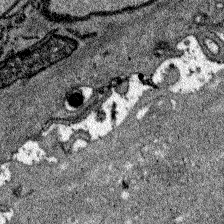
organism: Zebrafish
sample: Larval olfactory bulb